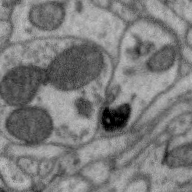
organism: Zebra finch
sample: Brain